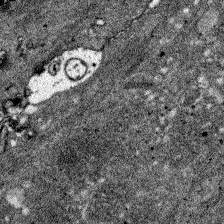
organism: Zebrafish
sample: Larval olfactory bulb